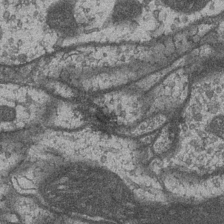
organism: Drosophila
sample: Optic medulla